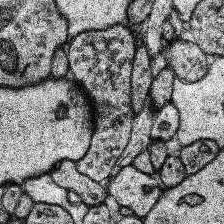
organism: Human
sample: Temporal Lobe